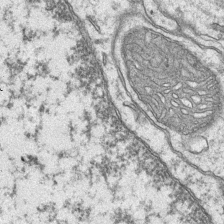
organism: Mouse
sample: CA1 Hippocampus